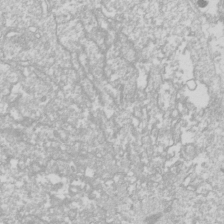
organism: Drosophila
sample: Cell division; meiosis; drosophila spermatocytes